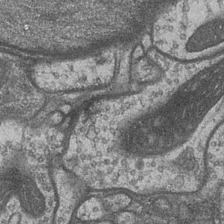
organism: Drosophila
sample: Optic medulla